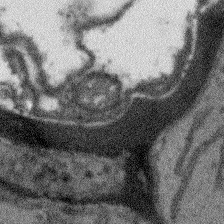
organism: Arabidopsis thaliana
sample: Root tip